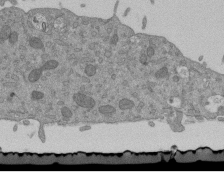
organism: Mouse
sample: ED-1 cell nuclei; centrioles